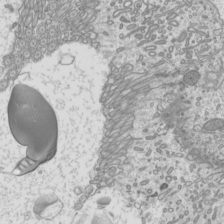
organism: Mouse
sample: Cilia; mouse epididymis